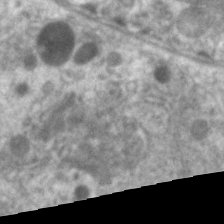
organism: C. elegans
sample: Pharynx